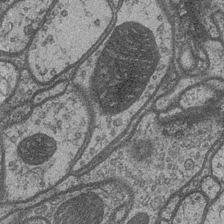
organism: Drosophila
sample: Optic medulla